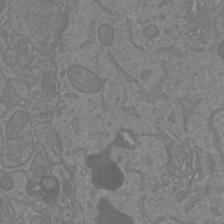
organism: Mouse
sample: Cortical neurons